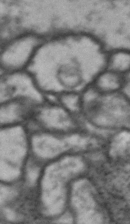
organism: Drosophila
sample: Brain